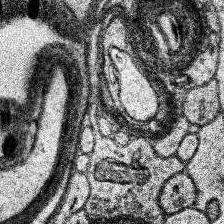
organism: Human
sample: Temporal Lobe